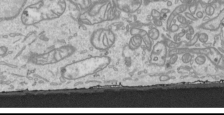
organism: Human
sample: Mitochondria in HCT116 cells